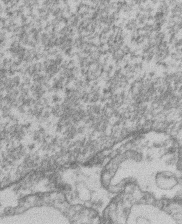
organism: Mouse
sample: T cell stromal cell synapse